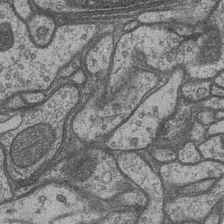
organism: Drosophila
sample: Optic medulla